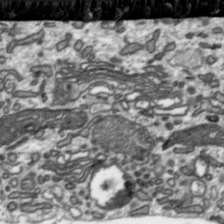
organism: Toxoplasma gondii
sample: Parasites in a vacuole inside a host cell